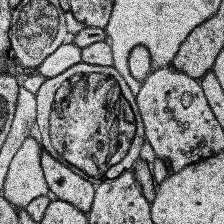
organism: Human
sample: Temporal Lobe